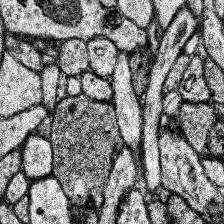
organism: Human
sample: Temporal Lobe